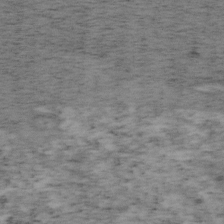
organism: Mouse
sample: OT-I killer T cells with ID8 ovarian cancer cells